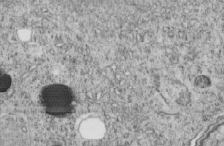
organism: C. elegans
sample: C. elegans embryo early stage